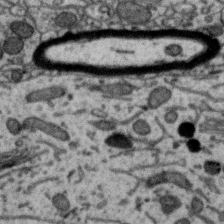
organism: Zebra finch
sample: Brain